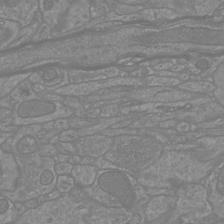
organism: Mouse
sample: Cortical neurons